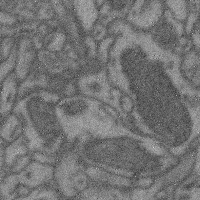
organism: Mouse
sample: Cerebral cortex